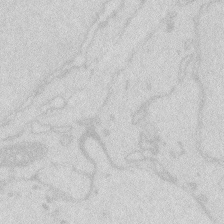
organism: Zebrafish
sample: Macrophage